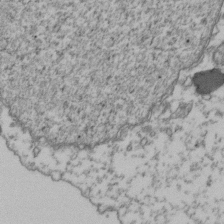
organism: Human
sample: Activated Jurkat CD4+ T cells